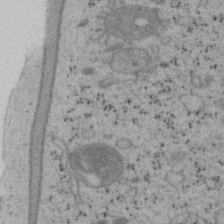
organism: Human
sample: HeLa cells